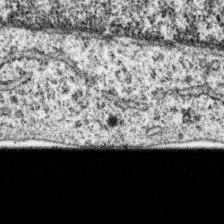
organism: Human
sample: HeLa cells